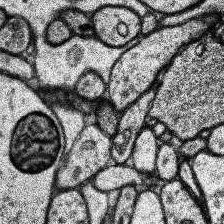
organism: Human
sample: Temporal Lobe